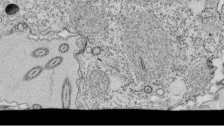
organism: Tetrahymena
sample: Cilia in tetrahymena